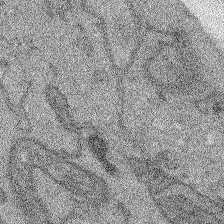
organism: Human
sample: HeLa cells